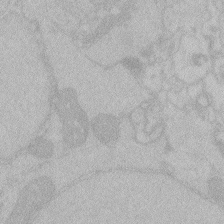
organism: Zebrafish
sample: Macrophage infected with Toxoplasma gondii